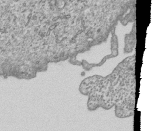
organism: Human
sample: MDA-MB-231 cells